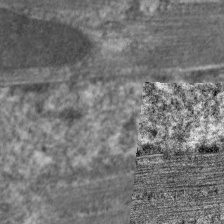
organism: C. elegans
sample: Pharynx